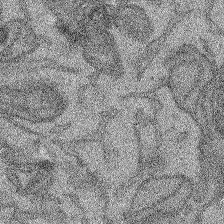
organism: Human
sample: HeLa cells